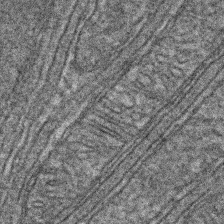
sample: Kidney